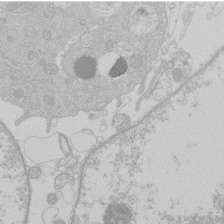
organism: Human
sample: Macrophage cells